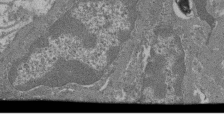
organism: Mouse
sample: Glomerulus